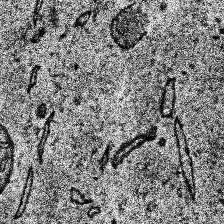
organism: Human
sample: Temporal Lobe